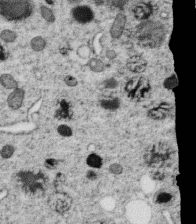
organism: C. elegans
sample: C. elegans oocyte; sperm cells